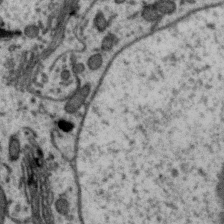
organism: Zebra finch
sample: Brain